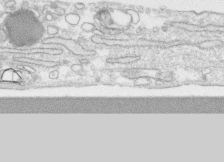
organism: Human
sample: CRL-1474